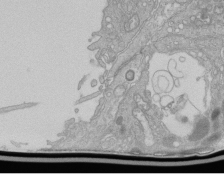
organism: Human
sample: Retinal organoid Rod and Cone cells